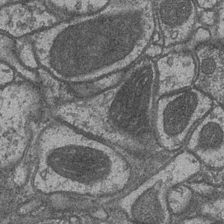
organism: Drosophila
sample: Optic medulla